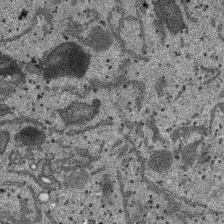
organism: Human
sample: Lung epithelial cells infected with SARS-CoV-2